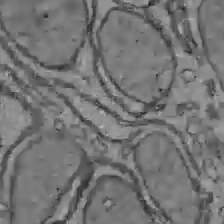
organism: C57BL Mouse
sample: Liver